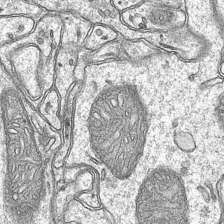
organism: Mouse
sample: CA1 Hippocampus